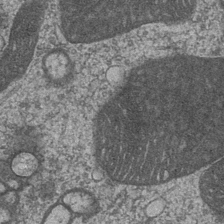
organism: Drosophila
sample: Optic medulla